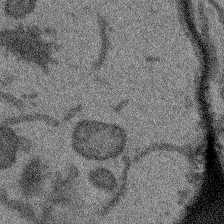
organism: Arabidopsis thaliana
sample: Root tip